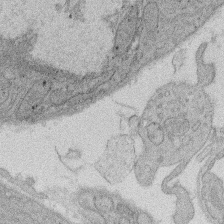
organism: Rat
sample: Salivary granule